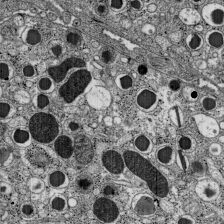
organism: C57BL Mouse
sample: Pancreatic islet